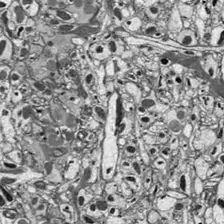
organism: Drosophila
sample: Optic lobe